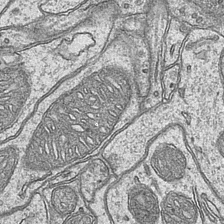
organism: Mouse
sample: CA1 Hippocampus